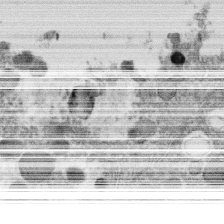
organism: C. elegans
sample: C. elegans oocyte; sperm cells